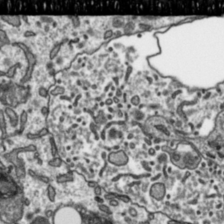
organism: Toxoplasma gondii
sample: Parasites in a vacuole inside a host cell